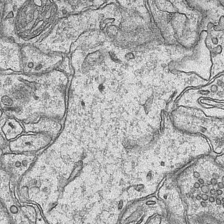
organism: Mouse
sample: CA1 Hippocampus